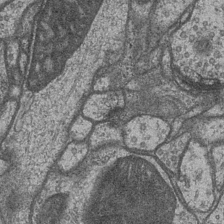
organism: Drosophila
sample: Optic medulla